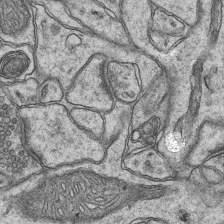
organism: Mouse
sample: CA1 Hippocampus